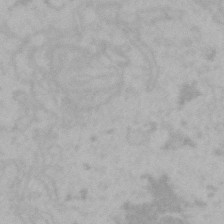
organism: Mouse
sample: Choroid plexus